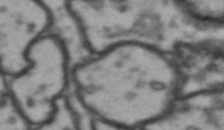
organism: Drosophila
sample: Brain